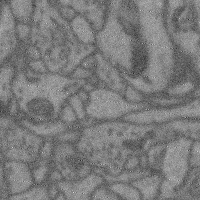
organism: Mouse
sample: Cerebral cortex